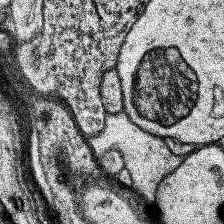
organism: Human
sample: Temporal Lobe